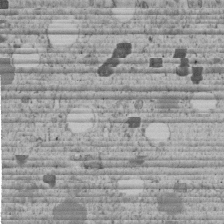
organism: C. elegans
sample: C. elegans embryo early stage